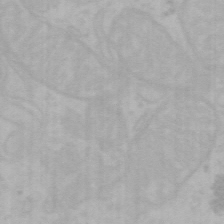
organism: Mouse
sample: Choroid plexus